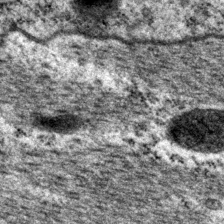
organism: P. pacificus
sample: Pharynx